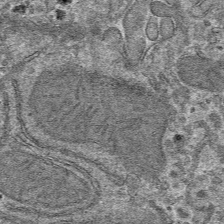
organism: Mouse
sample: Mouse hepatocytes